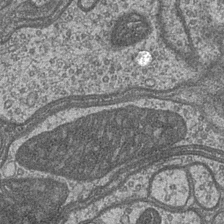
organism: Drosophila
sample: Optic medulla